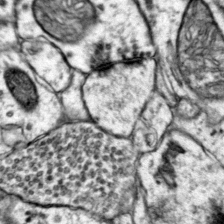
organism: Mouse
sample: Primary visual cortex